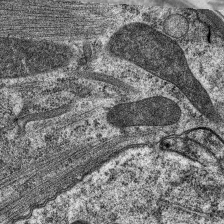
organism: C. elegans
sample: Pharynx